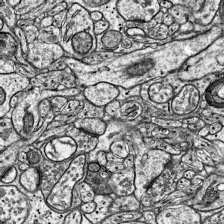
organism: Mouse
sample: Visual Cortex